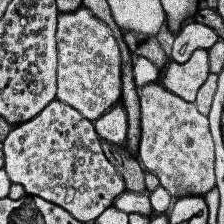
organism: Human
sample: Temporal Lobe